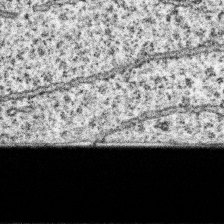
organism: Human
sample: HeLa cells